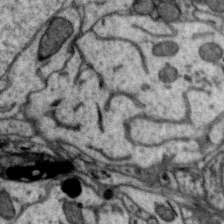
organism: Zebra finch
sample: Brain